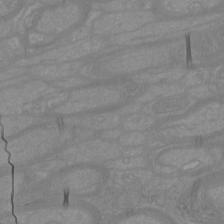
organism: Mouse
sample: Cortical neurons